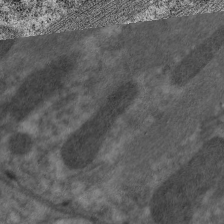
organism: C. elegans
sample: Pharynx